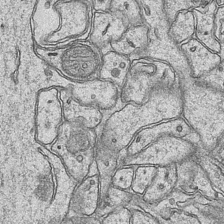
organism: Mouse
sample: CA1 Hippocampus